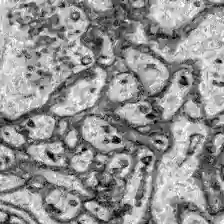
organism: Zebrafish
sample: Brain